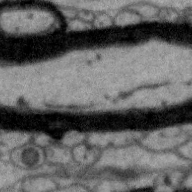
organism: Zebra finch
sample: Brain